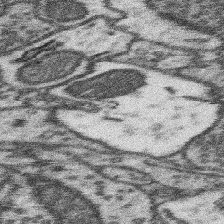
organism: Mouse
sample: Somatosensory cortex neuropil